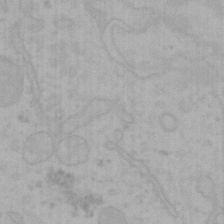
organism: Mouse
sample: Choroid plexus